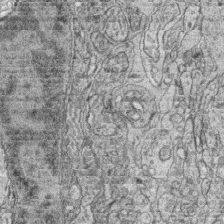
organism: Zebrafish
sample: synaptic ribbons in rod cells and cone cells